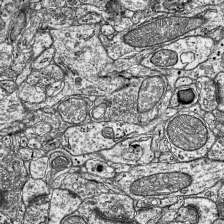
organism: Mouse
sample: Visual Cortex